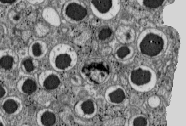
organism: C57BL Mouse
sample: Pancreatic islet